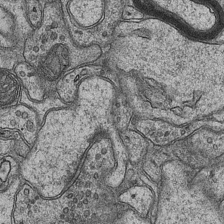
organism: Mouse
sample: CA1 Hippocampus